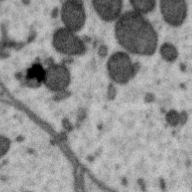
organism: Zebra finch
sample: Brain